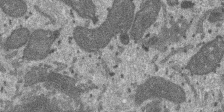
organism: Human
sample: Lung epithelial cells infected with SARS-CoV-2